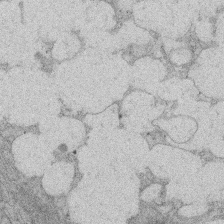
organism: Rat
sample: Salivary granule